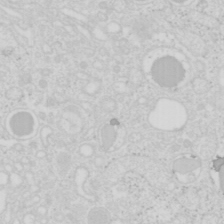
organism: Mouse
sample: Pancreas